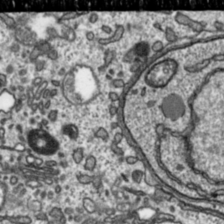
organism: Toxoplasma gondii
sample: Parasites in a vacuole inside a host cell